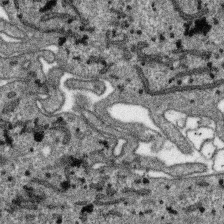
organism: Human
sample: Lung epithelial cells infected with SARS-CoV-2